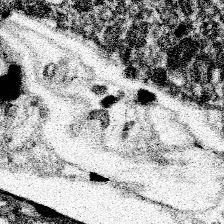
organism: Spongilla lacustris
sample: Neuroid cell